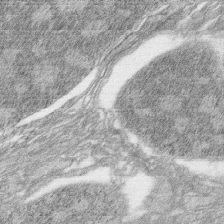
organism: Zebrafish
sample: synaptic ribbons in rod cells and cone cells